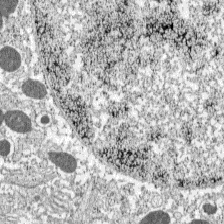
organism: C57BL Mouse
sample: Pancreatic islet